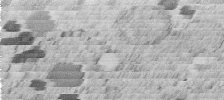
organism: C. elegans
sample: C. elegans embryo early stage